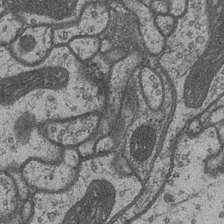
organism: Drosophila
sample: Optic medulla